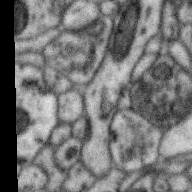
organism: Zebra finch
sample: Brain